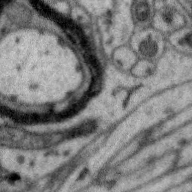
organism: Zebra finch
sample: Brain